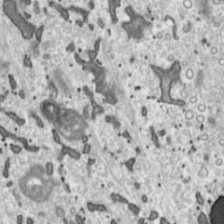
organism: Toxoplasma gondii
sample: Parasites in a vacuole inside a host cell